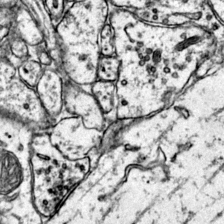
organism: Mouse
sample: Primary visual cortex